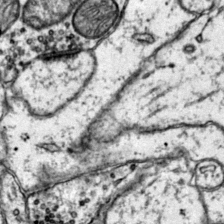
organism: Mouse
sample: Primary visual cortex